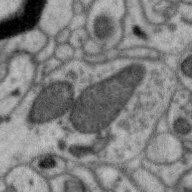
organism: Zebra finch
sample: Brain